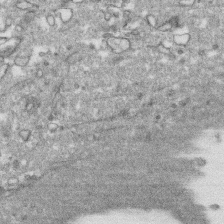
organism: Human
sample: CRL-1474